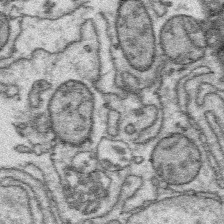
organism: Platynereis dumerilii